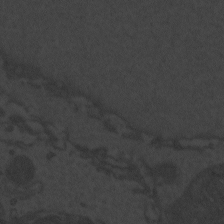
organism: Zebrafish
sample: Macrophage infected with Toxoplasma gondii